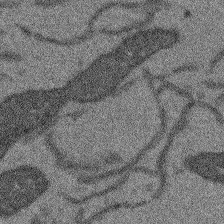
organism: Arabidopsis thaliana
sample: Root tip